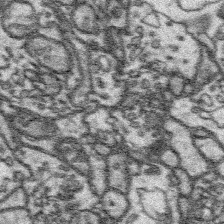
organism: Platynereis dumerilii